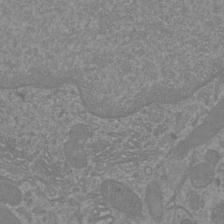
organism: Mouse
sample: Cortical neurons